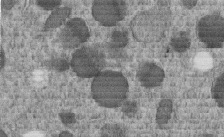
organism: C. elegans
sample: C. elegans embryo early stage